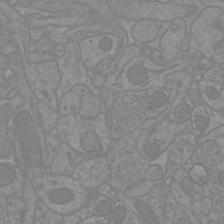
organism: Mouse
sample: Cortical neurons